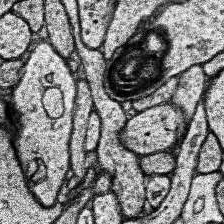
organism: Human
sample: Temporal Lobe